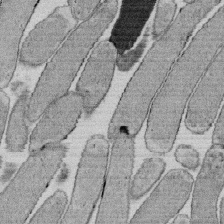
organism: E. coli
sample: Bacterial nucleoid